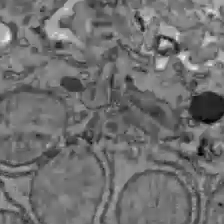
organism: C57BL Mouse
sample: Liver